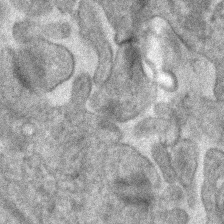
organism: Human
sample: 1205lu cells